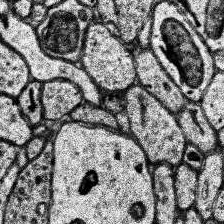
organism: Human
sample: Temporal Lobe